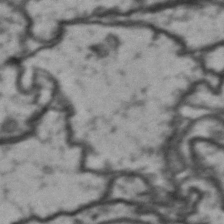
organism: Drosophila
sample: Brain